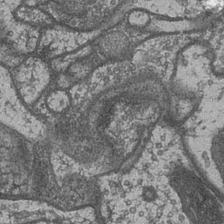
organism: Drosophila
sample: Optic medulla